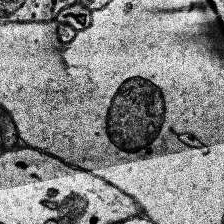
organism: Human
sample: Temporal Lobe